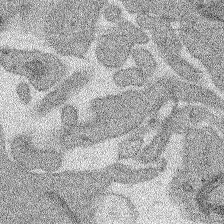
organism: Human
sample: HeLa cells